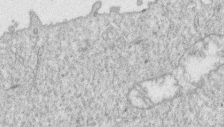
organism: Human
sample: HeLa cell HIV synapse